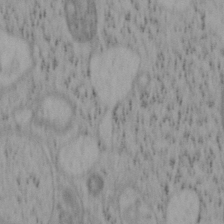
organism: Mouse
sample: OT-I killer T cells with ID8 ovarian cancer cells